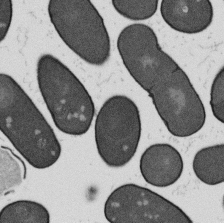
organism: B. subtilis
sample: Bacterial spore